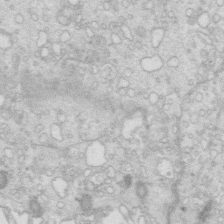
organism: Mouse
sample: Multiciliated cells